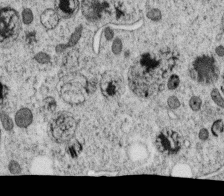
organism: C. elegans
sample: C. elegans oocyte; sperm cells